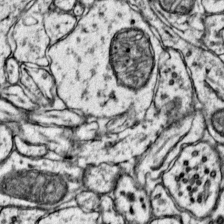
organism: Mouse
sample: Primary visual cortex